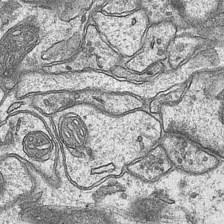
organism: Mouse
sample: CA1 Hippocampus